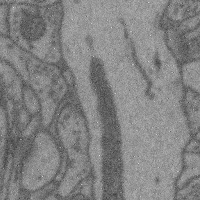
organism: Mouse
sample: Cerebral cortex